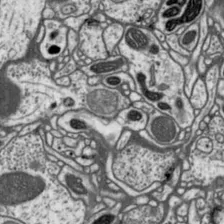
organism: Drosophila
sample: Protocerebral bridge